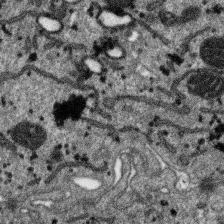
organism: Human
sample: Lung epithelial cells infected with SARS-CoV-2